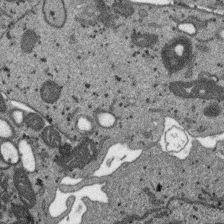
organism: Human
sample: Lung epithelial cells infected with SARS-CoV-2